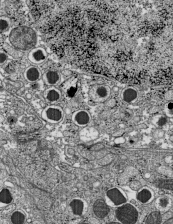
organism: C57BL Mouse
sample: Pancreatic islet